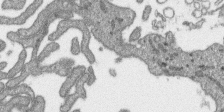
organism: Human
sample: Lung epithelial cells infected with SARS-CoV-2